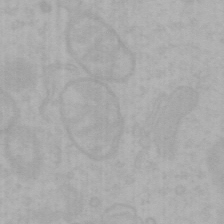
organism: Mouse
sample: Choroid plexus